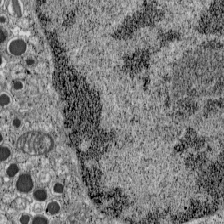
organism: C57BL Mouse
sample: Pancreatic islet